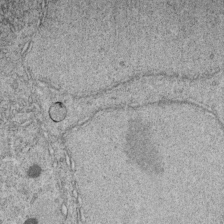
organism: C. elegans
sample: C. elegans embryo early stage